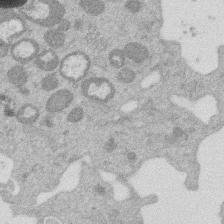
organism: Mouse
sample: Dividing mouse embryo 1 cell stage